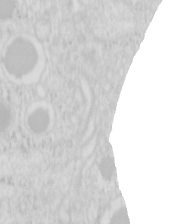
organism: Mouse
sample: Pancreas